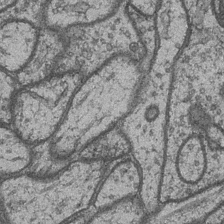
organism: Drosophila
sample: Optic medulla